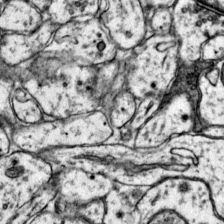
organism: Mouse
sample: Primary visual cortex